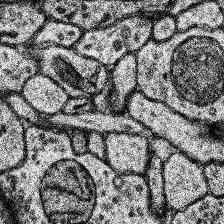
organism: Human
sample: Temporal Lobe